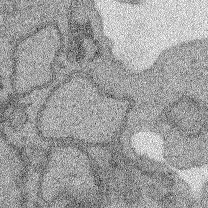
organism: Human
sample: HeLa cells